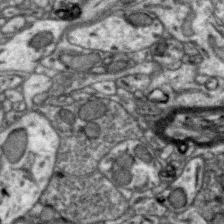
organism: Zebra finch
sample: Brain